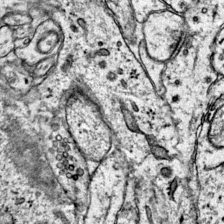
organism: Mouse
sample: Primary visual cortex